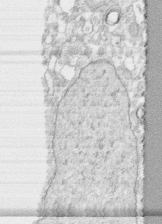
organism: Human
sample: CRL-1474